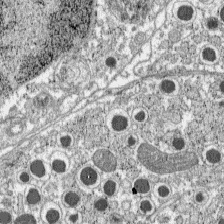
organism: C57BL Mouse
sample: Pancreatic islet